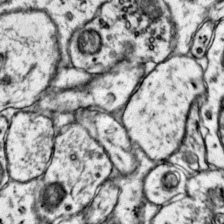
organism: Mouse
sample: Primary visual cortex